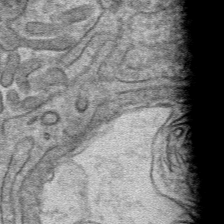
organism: Mouse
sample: Mouse hepatocytes